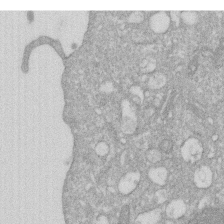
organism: Human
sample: HIV infected U937 cells